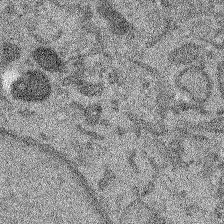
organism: Human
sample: HeLa cells